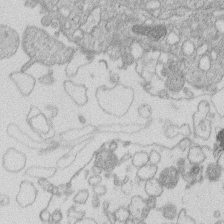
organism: Human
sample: Macrophage cells